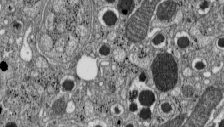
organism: C57BL Mouse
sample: Pancreatic islet